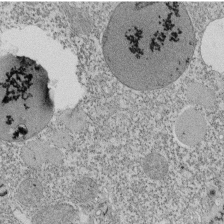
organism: Tetrahymena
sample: Cilia in tetrahymena